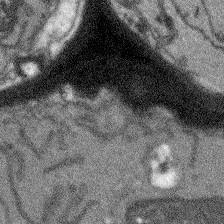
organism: Arabidopsis thaliana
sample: Root tip